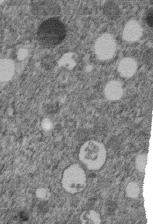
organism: C. elegans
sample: C. elegans embryo early stage